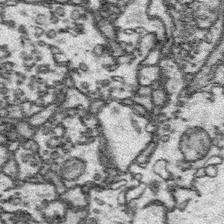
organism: Platynereis dumerilii